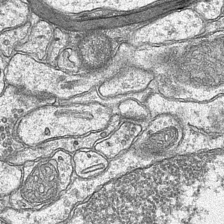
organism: Mouse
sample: CA1 Hippocampus